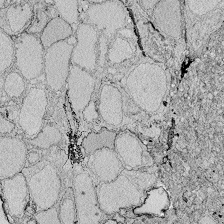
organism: Zebrafish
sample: Whole-Brain